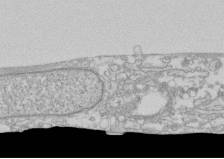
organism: Human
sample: CRL-1474